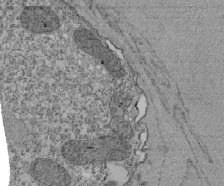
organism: Tetrahymena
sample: Cilia in tetrahymena